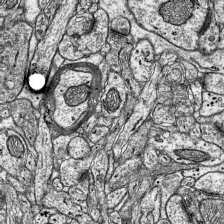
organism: Mouse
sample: Visual Cortex